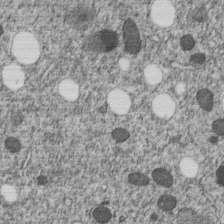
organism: C. elegans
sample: C. elegans embryo early stage